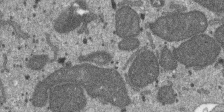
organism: Human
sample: Lung epithelial cells infected with SARS-CoV-2